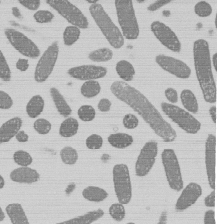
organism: E. coli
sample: Bacterial nucleoid